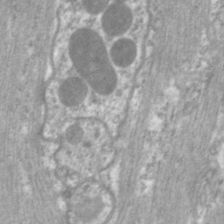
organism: C. elegans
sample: Pharynx